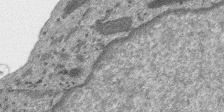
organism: Human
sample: Lung epithelial cells infected with SARS-CoV-2